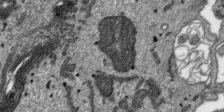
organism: Human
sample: Lung epithelial cells, uninfected (mock) control